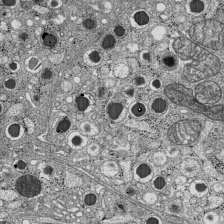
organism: C57BL Mouse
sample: Pancreatic islet